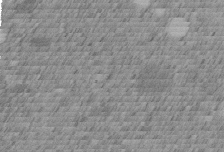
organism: C. elegans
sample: C. elegans embryo early stage